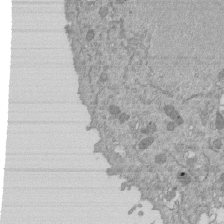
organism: Mouse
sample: ED-1 cell nuclei; centrioles